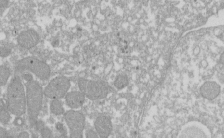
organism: Xenopus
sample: Cilia; centrioles in frog embryo cells